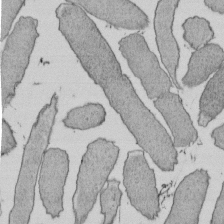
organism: E. coli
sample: Bacterial nucleoid